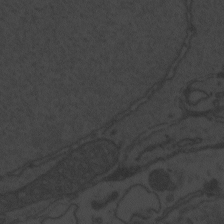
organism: Zebrafish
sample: Macrophage infected with Toxoplasma gondii